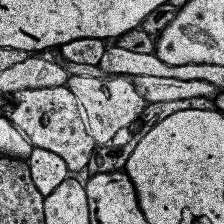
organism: Human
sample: Temporal Lobe